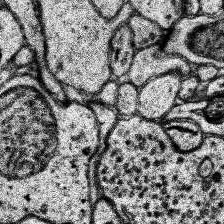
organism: Human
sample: Temporal Lobe